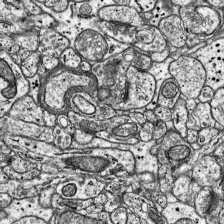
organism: Mouse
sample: Visual Cortex